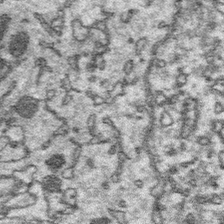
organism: Platynereis dumerilii